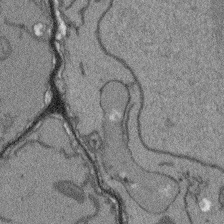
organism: Arabidopsis thaliana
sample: Root tip